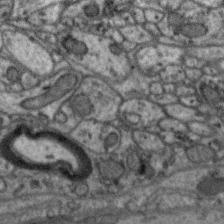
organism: Zebra finch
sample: Brain